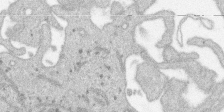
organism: Human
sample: Lung epithelial cells infected with SARS-CoV-2